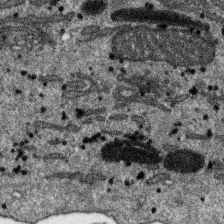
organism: Human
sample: Lung epithelial cells infected with SARS-CoV-2